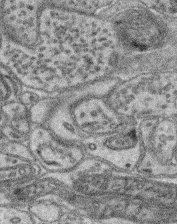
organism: Mouse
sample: Retina